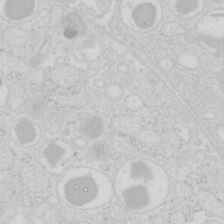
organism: Mouse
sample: Pancreas